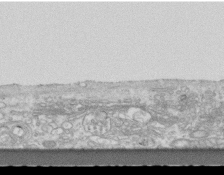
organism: Mouse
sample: Centriole in ependymal cells